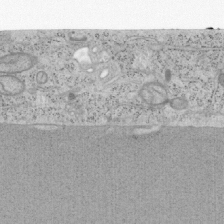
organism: Human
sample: HeLa cells